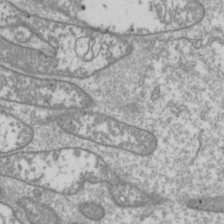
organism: Drosophila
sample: Cell division; meiosis; drosophila spermatocytes